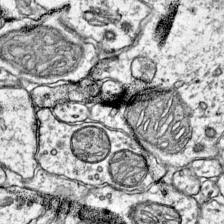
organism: Mouse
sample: Primary visual cortex